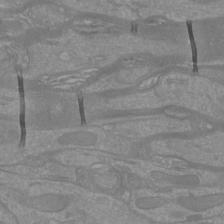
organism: Mouse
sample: Cortical neurons